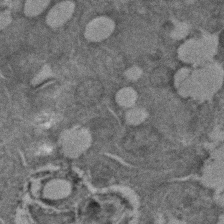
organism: C. elegans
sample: C. elegans embryo